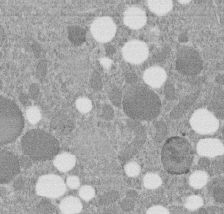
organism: C. elegans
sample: C. elegans embryo early stage